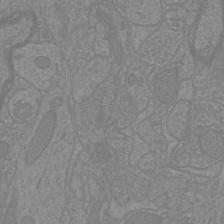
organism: Mouse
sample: Cortical neurons